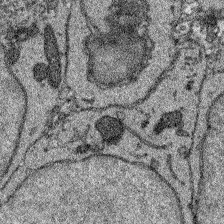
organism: Zebrafish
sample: Larval olfactory bulb